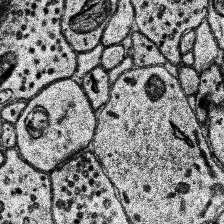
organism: Human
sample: Temporal Lobe